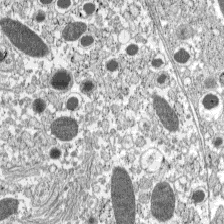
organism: C57BL Mouse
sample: Pancreatic islet